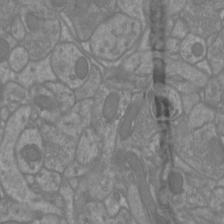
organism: Mouse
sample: Cortical neurons